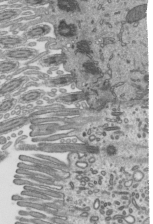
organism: Mouse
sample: Mouse epididymis efferent ductule cilia